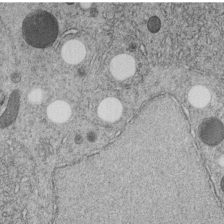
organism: C. elegans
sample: C. elegans embryo early stage